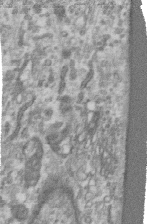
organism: Human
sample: Centriole in RPE cells